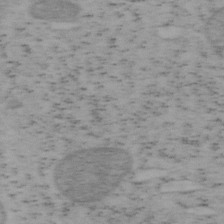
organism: Mouse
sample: OT-I killer T cells with ID8 ovarian cancer cells